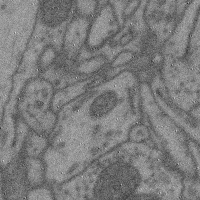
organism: Mouse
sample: Cerebral cortex